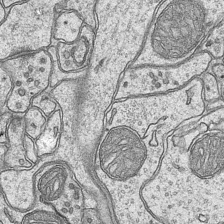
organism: Mouse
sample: CA1 Hippocampus